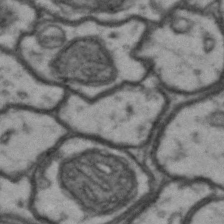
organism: Drosophila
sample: Brain